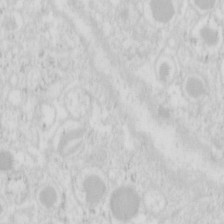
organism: Mouse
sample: Pancreas